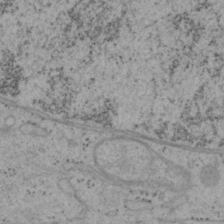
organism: Human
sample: HeLa cells